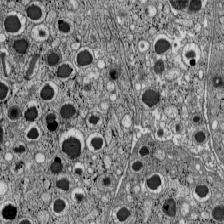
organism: C57BL Mouse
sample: Pancreatic islet